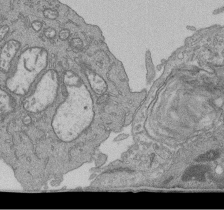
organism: Human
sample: Retinal organoid Rod and Cone cells